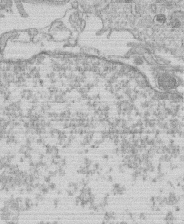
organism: Human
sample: Macrophage cells